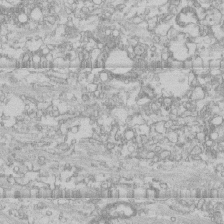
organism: Human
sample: CRL-1474